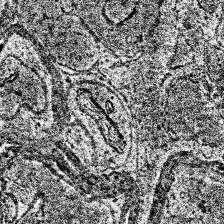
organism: Human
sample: Temporal Lobe